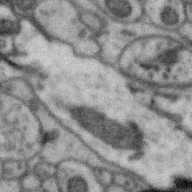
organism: Zebra finch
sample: Brain